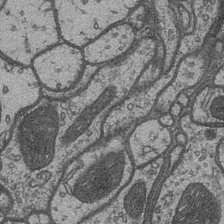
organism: Drosophila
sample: Optic medulla